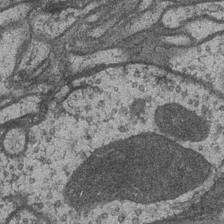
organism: Drosophila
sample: Optic medulla